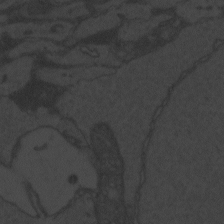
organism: Zebrafish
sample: Macrophage infected with Toxoplasma gondii